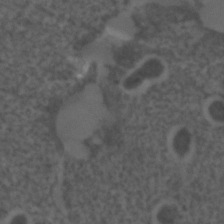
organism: C. elegans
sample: C. elegans embryo